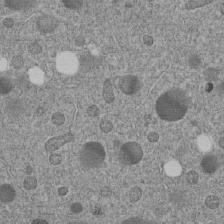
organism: C. elegans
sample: C. elegans embryo early stage